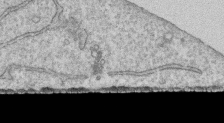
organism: Human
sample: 1205lu cells